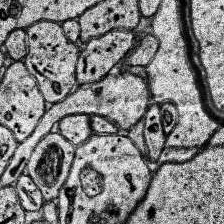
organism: Human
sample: Temporal Lobe